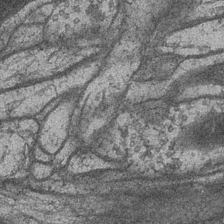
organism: Drosophila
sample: Optic medulla